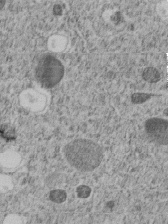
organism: C. elegans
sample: C. elegans embryo early stage